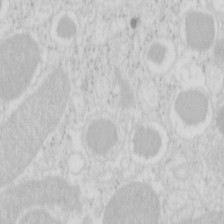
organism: Mouse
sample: Pancreas